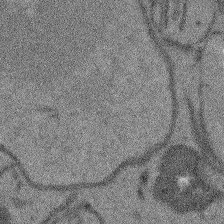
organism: Arabidopsis thaliana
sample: Root tip